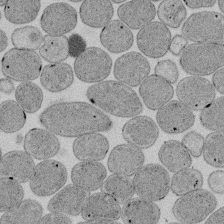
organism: E. coli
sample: Bacterial nucleoid